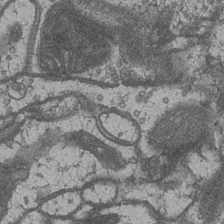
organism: Drosophila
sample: Optic medulla